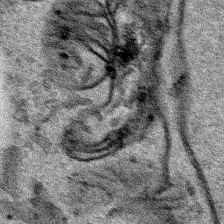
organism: Human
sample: Mitochondria in HCT116 cells